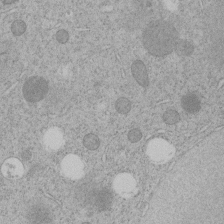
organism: C. elegans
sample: C. elegans embryo early stage